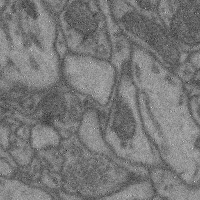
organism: Mouse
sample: Cerebral cortex